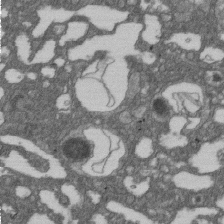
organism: Drosophila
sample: Nephrocyte